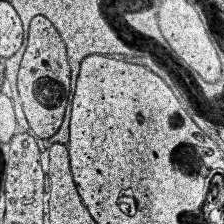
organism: Human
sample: Temporal Lobe